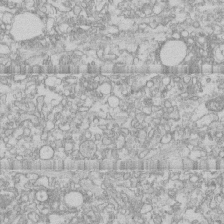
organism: Human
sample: CRL-1474